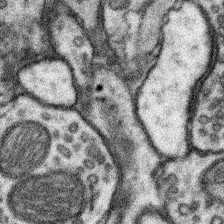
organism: Mouse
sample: Somatosensory cortex neuropil